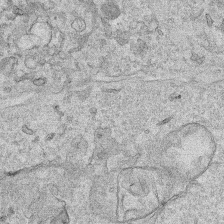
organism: Human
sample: Mitochondria in HCT116 cells